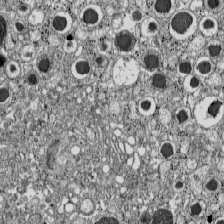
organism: C57BL Mouse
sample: Pancreatic islet